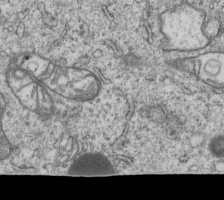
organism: Human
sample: MDA-MB-231 cells